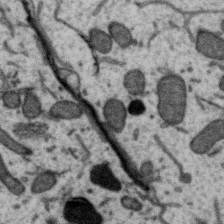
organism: Zebra finch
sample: Brain